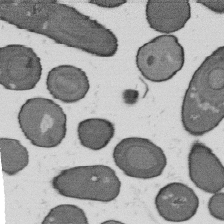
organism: B. subtilis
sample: Bacterial spore